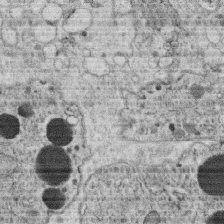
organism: C. elegans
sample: C. elegans oocyte; sperm cells